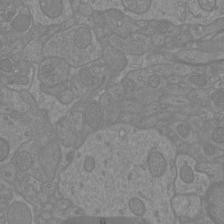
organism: Mouse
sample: Cortical neurons